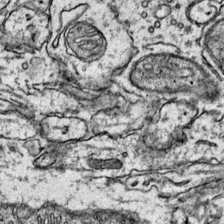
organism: Mouse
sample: Primary visual cortex